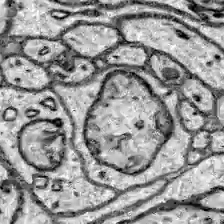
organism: Zebrafish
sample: Brain